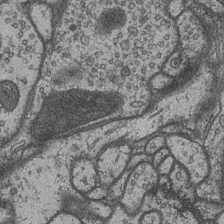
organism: Drosophila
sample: Optic medulla